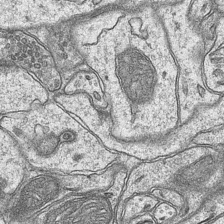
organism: Mouse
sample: CA1 Hippocampus